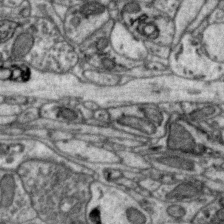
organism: Zebra finch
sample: Brain